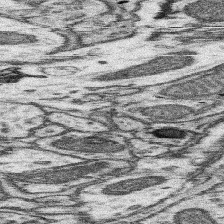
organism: Mouse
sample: Somatosensory cortex neuropil